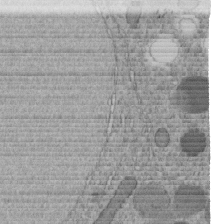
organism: C. elegans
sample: C. elegans embryo early stage